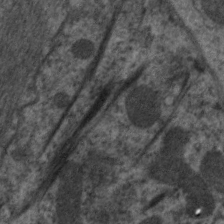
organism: C. elegans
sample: Pharynx